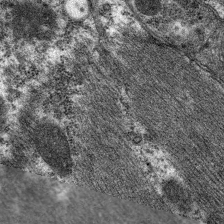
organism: C. elegans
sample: Pharynx